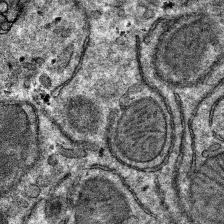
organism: Mouse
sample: Mouse hepatocytes